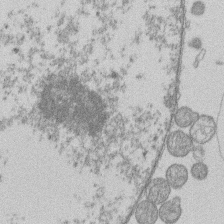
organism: Human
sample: Macrophage cells